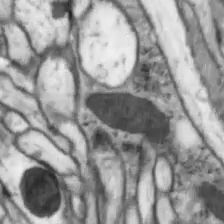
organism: Drosophila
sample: Optic lobe